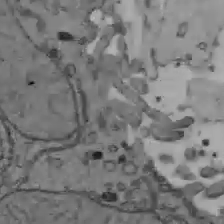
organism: C57BL Mouse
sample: Liver